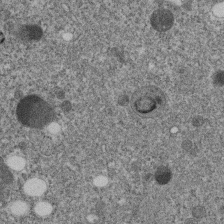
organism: C. elegans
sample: C. elegans embryo early stage